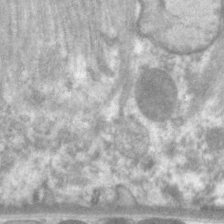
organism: C. elegans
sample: Pharynx